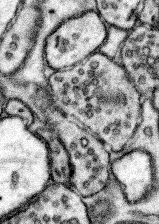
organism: Mouse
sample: Somatosensory cortex neuropil